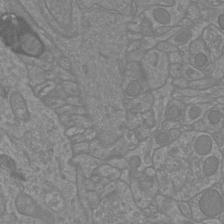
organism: Mouse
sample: Cortical neurons